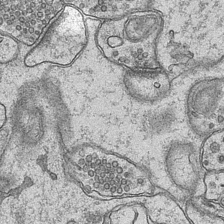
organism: Mouse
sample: CA1 Hippocampus